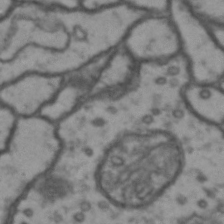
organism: Drosophila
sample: Brain